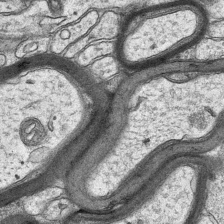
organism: Mouse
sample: CA1 Hippocampus